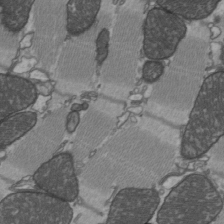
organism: C57BL Mouse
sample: Heart